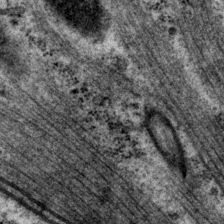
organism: P. pacificus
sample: Pharynx